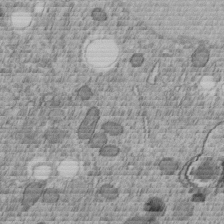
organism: C. elegans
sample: C. elegans embryo early stage